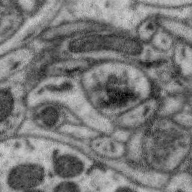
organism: Zebra finch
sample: Brain